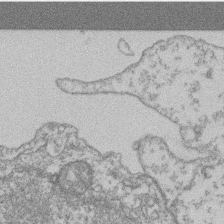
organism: Mouse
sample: T cell stromal cell synapse